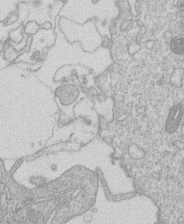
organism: Human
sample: Macrophage cells